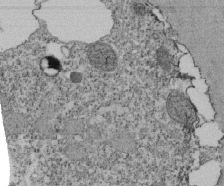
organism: Tetrahymena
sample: Cilia in tetrahymena